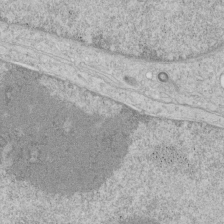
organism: Human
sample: Mitochondria in HCT116 cells